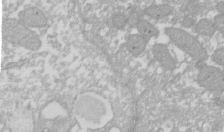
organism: Xenopus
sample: Cilia; centrioles in frog embryo cells